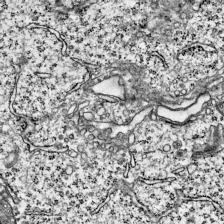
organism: Mouse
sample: Visual Cortex